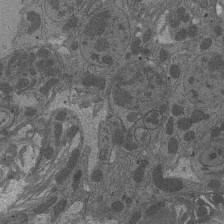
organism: Drosophila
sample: Antenna